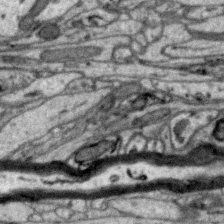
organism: Zebra finch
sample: Brain